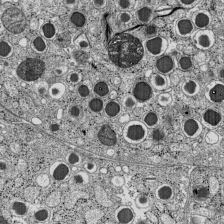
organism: C57BL Mouse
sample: Pancreatic islet